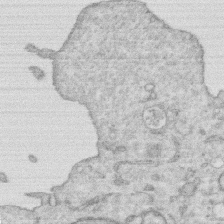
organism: Human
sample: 1205lu cells